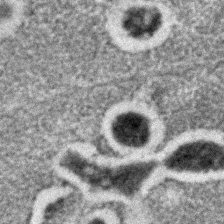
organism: C. elegans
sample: C. elegans embryo